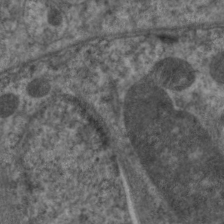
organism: C. elegans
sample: Pharynx